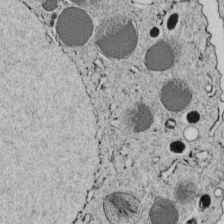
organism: C. elegans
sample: C. elegans embryo early stage